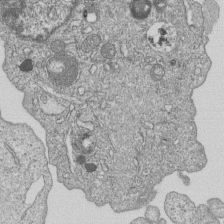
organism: Human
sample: MDA-MB-231 cells